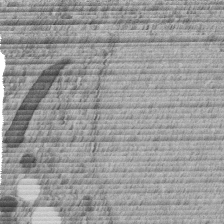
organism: C. elegans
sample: C. elegans embryo early stage